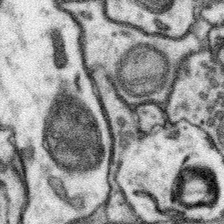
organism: Mouse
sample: Somatosensory cortex neuropil